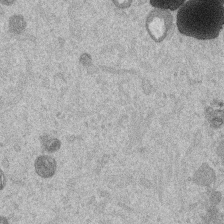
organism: Mouse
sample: Dividing mouse embryo 1 cell stage